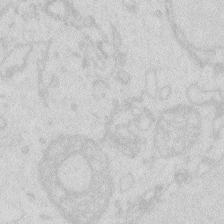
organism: Zebrafish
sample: Macrophage